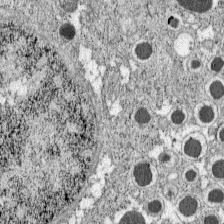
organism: C57BL Mouse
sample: Pancreatic islet